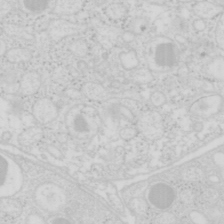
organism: Mouse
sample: Pancreas